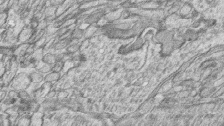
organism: Zebrafish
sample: synaptic ribbons in rod cells and cone cells